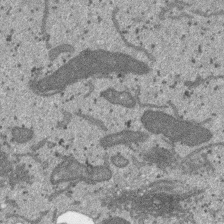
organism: Human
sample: Lung epithelial cells infected with SARS-CoV-2